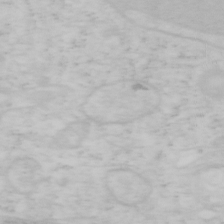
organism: Mouse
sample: OT-I killer T cells with ID8 ovarian cancer cells